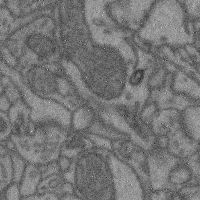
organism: Mouse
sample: Cerebral cortex